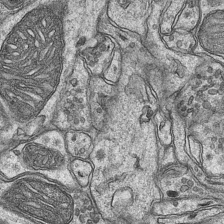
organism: Mouse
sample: CA1 Hippocampus